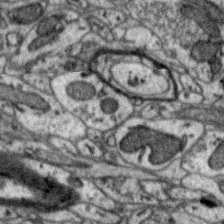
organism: Zebra finch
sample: Brain